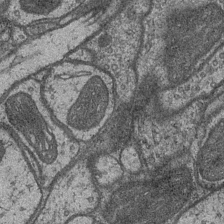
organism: Drosophila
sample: Optic medulla